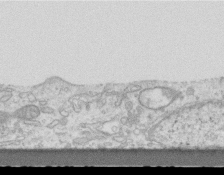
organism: Mouse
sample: Centriole in ependymal cells